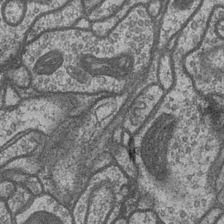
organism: Drosophila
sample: Optic medulla